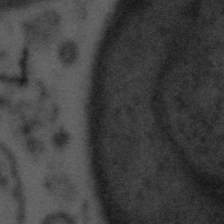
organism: Tuwongella immobilis